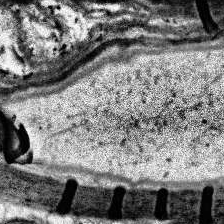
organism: Human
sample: Temporal Lobe